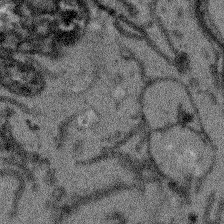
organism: Arabidopsis thaliana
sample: Root tip